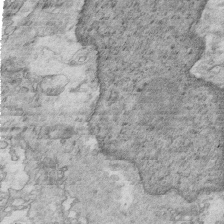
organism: Mouse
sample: Multiciliated cells